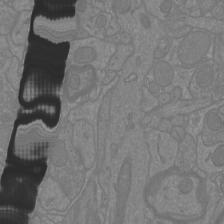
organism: Mouse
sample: Cortical neurons